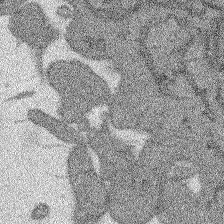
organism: Human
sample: HeLa cells